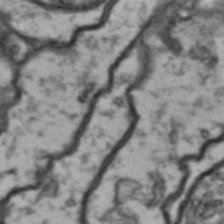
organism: Drosophila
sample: Brain